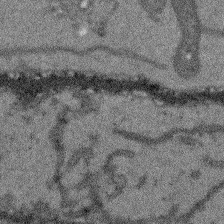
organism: Arabidopsis thaliana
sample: Root tip